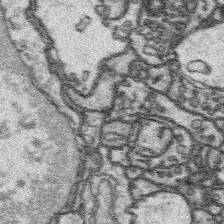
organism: Platynereis dumerilii